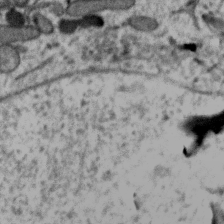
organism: Zebra finch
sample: Brain